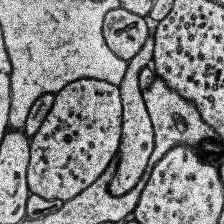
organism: Human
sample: Temporal Lobe